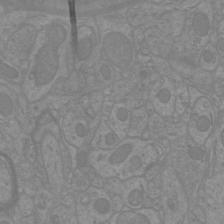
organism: Mouse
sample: Cortical neurons